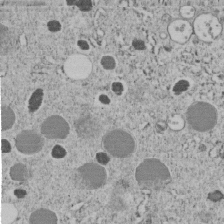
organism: C. elegans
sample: C. elegans embryo early stage